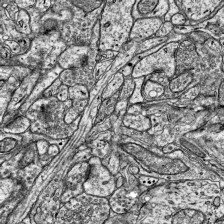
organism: Mouse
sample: Visual Cortex